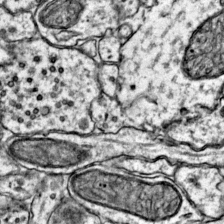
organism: Mouse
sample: Primary visual cortex